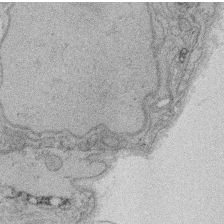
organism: Rat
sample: Salivary granule